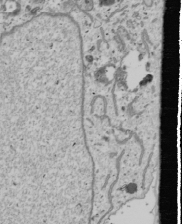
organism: Human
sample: Mitochondria in U2OS cells